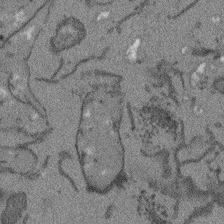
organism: Arabidopsis thaliana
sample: Root tip